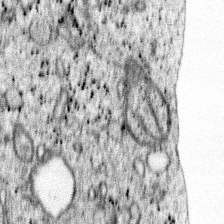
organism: Human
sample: HeLa cells